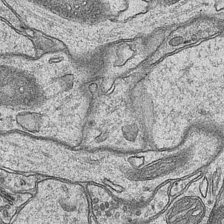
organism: Mouse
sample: CA1 Hippocampus